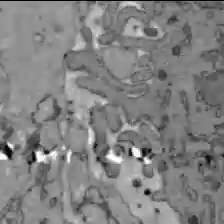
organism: C57BL Mouse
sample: Liver